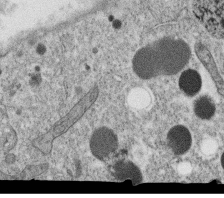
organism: C. elegans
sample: C. elegans oocyte; sperm cells